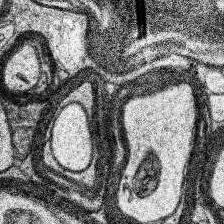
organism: Human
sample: Temporal Lobe